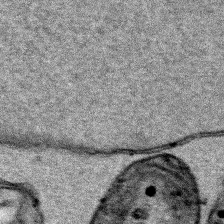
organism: Human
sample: Mitochondria in HCT116 cells